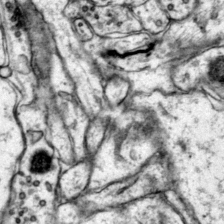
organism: Mouse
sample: Primary visual cortex